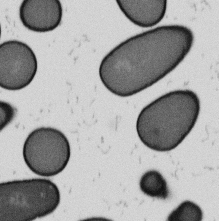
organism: B. subtilis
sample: Bacterial spore